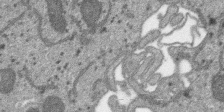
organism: Human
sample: Lung epithelial cells infected with SARS-CoV-2